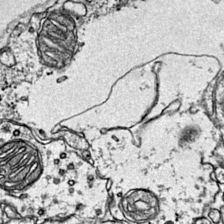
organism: Mouse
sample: Primary visual cortex